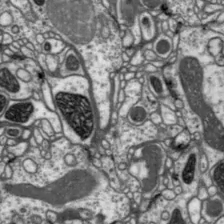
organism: Drosophila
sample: Protocerebral bridge